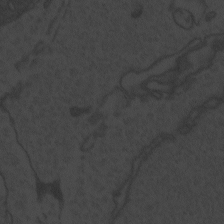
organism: Zebrafish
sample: Macrophage infected with Toxoplasma gondii